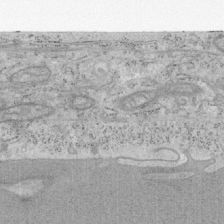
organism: Human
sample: HeLa cells